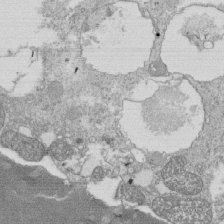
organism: Tetrahymena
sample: Cilia in tetrahymena